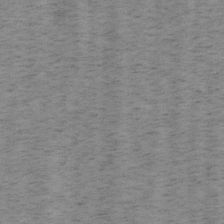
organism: Mouse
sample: OT-I killer T cells with ID8 ovarian cancer cells